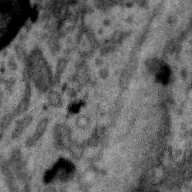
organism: Zebra finch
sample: Brain